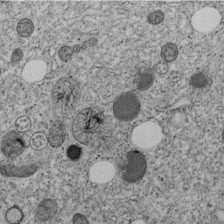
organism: C. elegans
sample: C. elegans embryo early stage